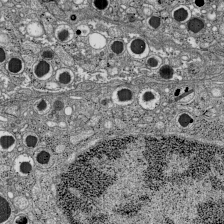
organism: C57BL Mouse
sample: Pancreatic islet